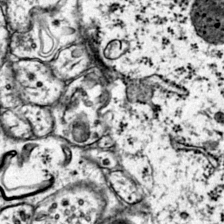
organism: Mouse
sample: Primary visual cortex